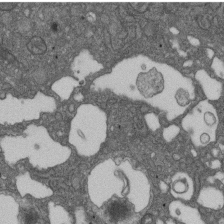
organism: Drosophila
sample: Nephrocyte